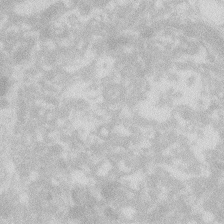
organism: Zebrafish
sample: Macrophage